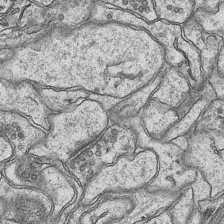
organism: Mouse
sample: CA1 Hippocampus